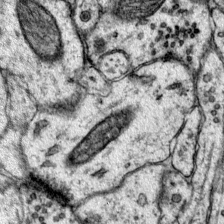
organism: Mouse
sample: Primary visual cortex